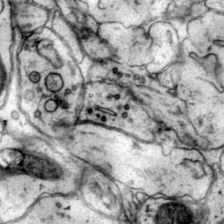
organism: Mouse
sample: Primary visual cortex